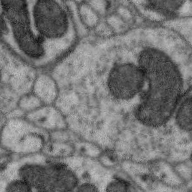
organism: Zebra finch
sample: Brain